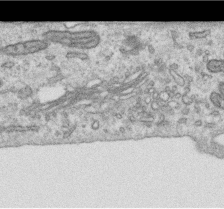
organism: Human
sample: Centriole in RPE cells